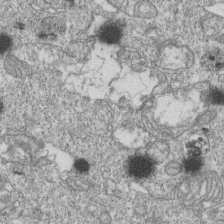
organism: Human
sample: HeLa cell HIV synapse